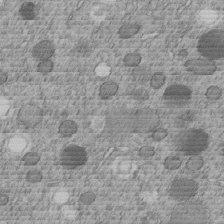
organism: C. elegans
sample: C. elegans embryo early stage